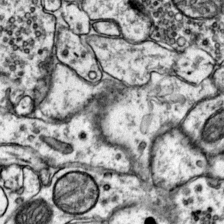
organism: Mouse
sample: Primary visual cortex